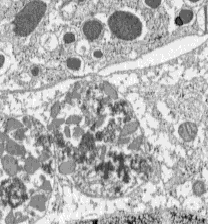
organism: C57BL Mouse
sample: Pancreatic islet